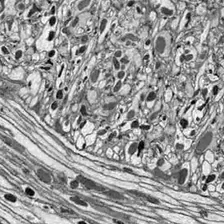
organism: Drosophila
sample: Optic lobe